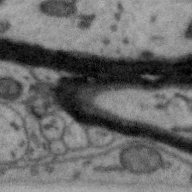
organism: Zebra finch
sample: Brain